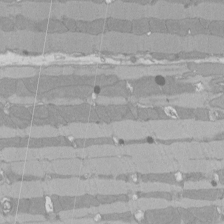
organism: Rat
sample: Left ventricle